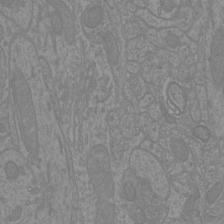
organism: Mouse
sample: Cortical neurons